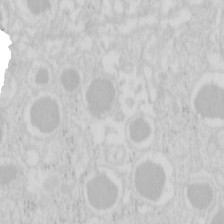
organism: Mouse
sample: Pancreas